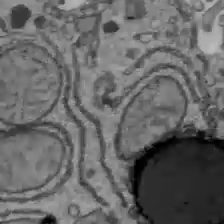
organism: C57BL Mouse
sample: Liver